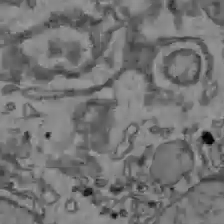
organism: C57BL Mouse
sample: Liver